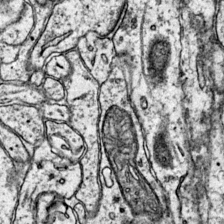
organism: Mouse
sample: Primary visual cortex